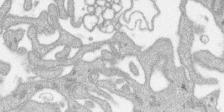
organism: Human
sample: Lung epithelial cells infected with SARS-CoV-2